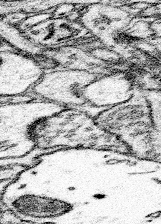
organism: Mouse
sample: Somatosensory cortex neuropil